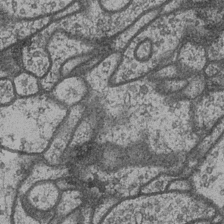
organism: Drosophila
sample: Optic medulla